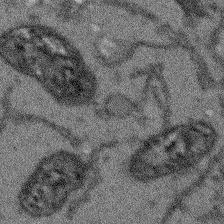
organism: Arabidopsis thaliana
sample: Root tip